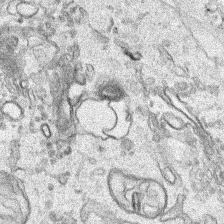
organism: Human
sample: Mitochondria in HCT116 cells